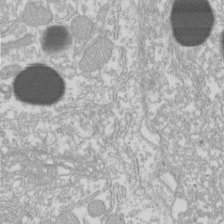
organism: Xenopus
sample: Cilia; centrioles in frog embryo cells